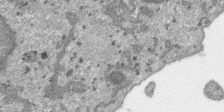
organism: Human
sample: Lung epithelial cells infected with SARS-CoV-2